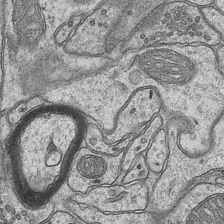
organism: Mouse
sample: CA1 Hippocampus